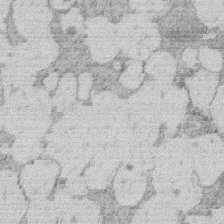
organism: Rat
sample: Salivary granule